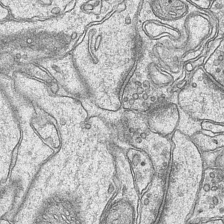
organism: Mouse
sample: CA1 Hippocampus